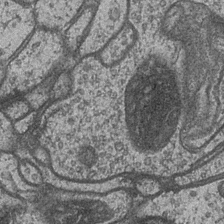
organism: Drosophila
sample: Optic medulla